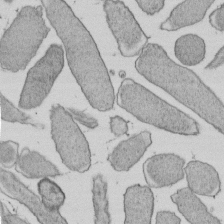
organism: E. coli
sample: Bacterial nucleoid